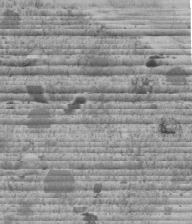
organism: C. elegans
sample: C. elegans embryo early stage